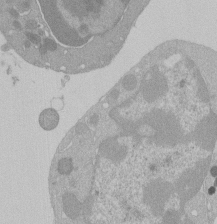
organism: Mouse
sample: Activated Pmel transgenic CD8+ T Cells